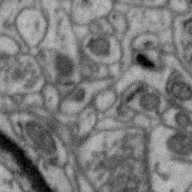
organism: Zebra finch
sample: Brain